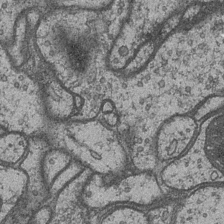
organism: Drosophila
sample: Optic medulla